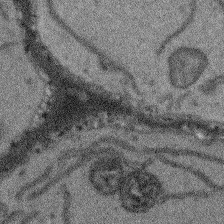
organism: Arabidopsis thaliana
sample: Root tip